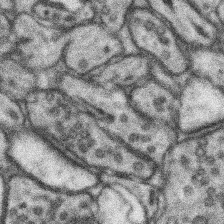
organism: Mouse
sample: Somatosensory cortex neuropil